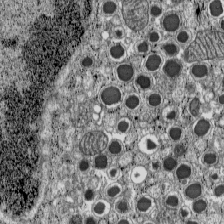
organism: C57BL Mouse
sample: Pancreatic islet